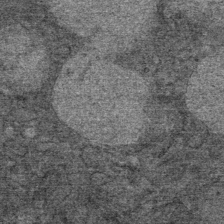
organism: Mouse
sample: Mouse Salivary gland